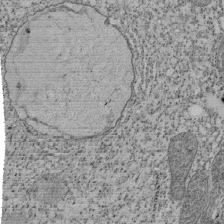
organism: Tetrahymena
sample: Cilia in tetrahymena